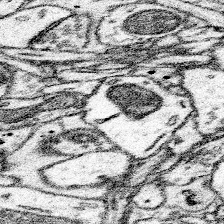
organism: Mouse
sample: Somatosensory cortex neuropil